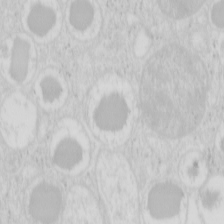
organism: Mouse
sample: Pancreas